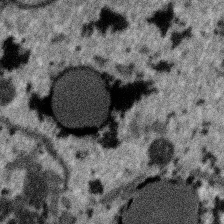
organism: Human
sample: Lung epithelial cells infected with SARS-CoV-2